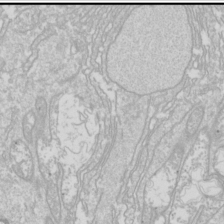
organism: Drosophila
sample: Cell division; meiosis; drosophila spermatocytes